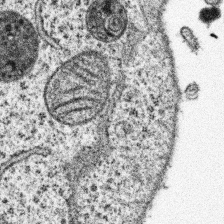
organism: Human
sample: HeLa cells